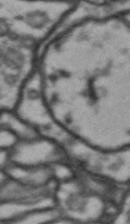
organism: Drosophila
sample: Brain